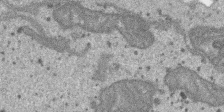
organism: Human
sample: Lung epithelial cells infected with SARS-CoV-2